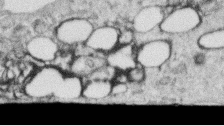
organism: Human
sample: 1205lu cells